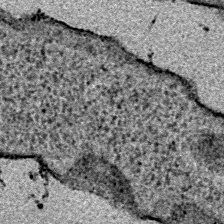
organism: E. coli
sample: E. Coli Bacteria